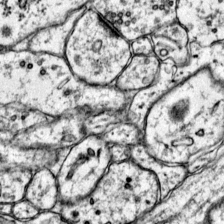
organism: Mouse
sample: Primary visual cortex